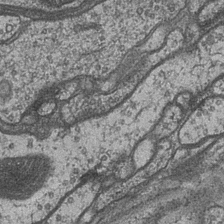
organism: Drosophila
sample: Optic medulla